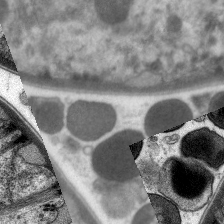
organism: C. elegans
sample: Pharynx